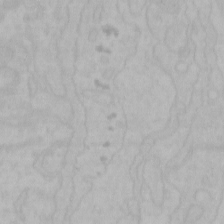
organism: Mouse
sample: Choroid plexus